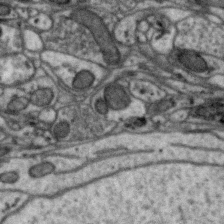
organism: Zebra finch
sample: Brain